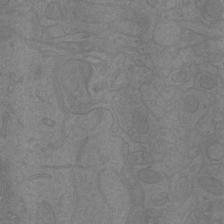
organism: Mouse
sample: Cortical neurons